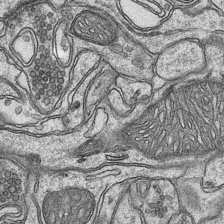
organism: Mouse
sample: CA1 Hippocampus